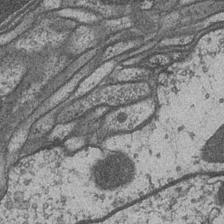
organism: Drosophila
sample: Optic medulla